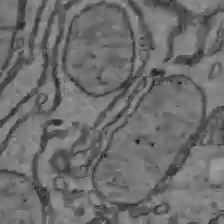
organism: C57BL Mouse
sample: Liver